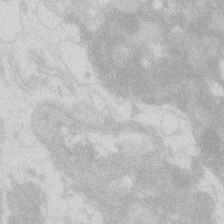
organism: Zebrafish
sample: Macrophage